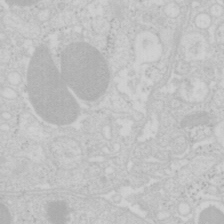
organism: Mouse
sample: Pancreas